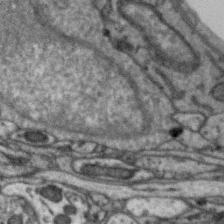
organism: Zebra finch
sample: Brain